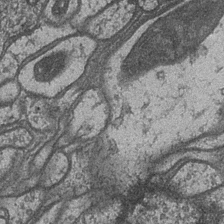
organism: Drosophila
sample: Optic medulla